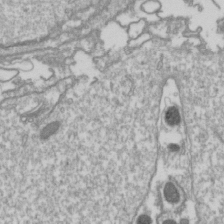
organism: Drosophila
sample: Cell division; meiosis; drosophila spermatocytes